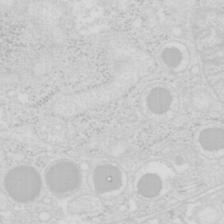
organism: Mouse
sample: Pancreas